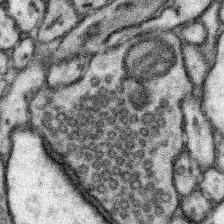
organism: Mouse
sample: Somatosensory cortex neuropil